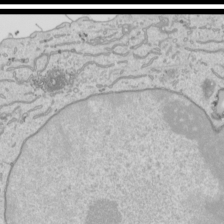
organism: Human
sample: Mitochondria in HCT116 cells